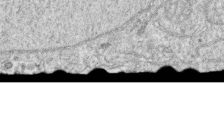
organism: Human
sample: HeLa cell HIV synapse